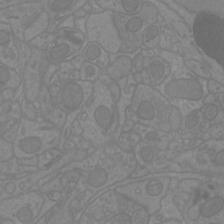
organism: Mouse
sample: Cortical neurons